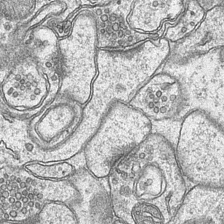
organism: Mouse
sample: CA1 Hippocampus